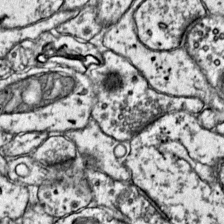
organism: Mouse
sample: Primary visual cortex